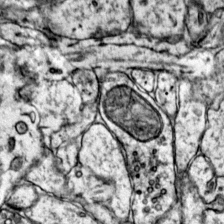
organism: Mouse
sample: Primary visual cortex